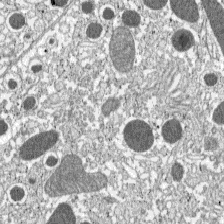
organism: C57BL Mouse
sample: Pancreatic islet